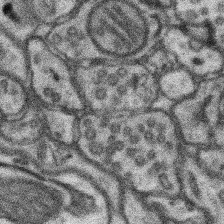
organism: Mouse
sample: Somatosensory cortex neuropil